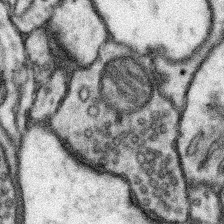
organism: Mouse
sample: Somatosensory cortex neuropil